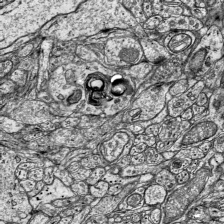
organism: Mouse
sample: Visual Cortex